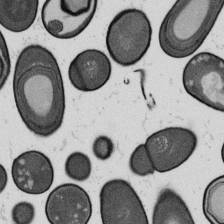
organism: B. subtilis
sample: Bacterial spore